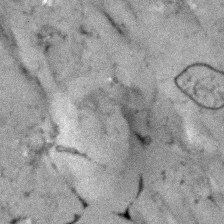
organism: Human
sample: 1205lu cells